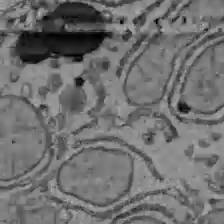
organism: C57BL Mouse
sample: Liver